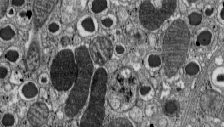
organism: C57BL Mouse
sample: Pancreatic islet